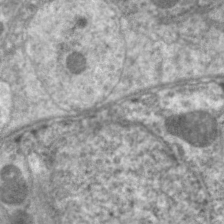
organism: C. elegans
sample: Pharynx